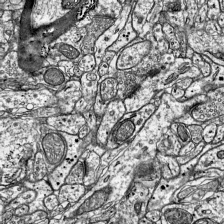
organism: Mouse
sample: Visual Cortex